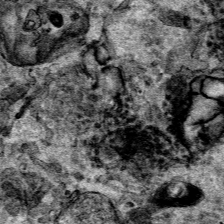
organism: Human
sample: Mitochondria in HCT116 cells